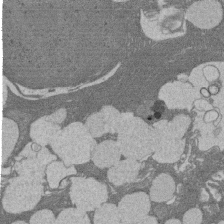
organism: Rat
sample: Salivary granule